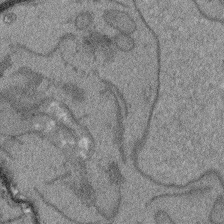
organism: Arabidopsis thaliana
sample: Root tip